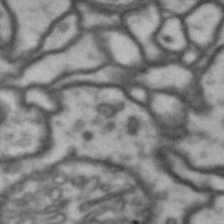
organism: Drosophila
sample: Brain